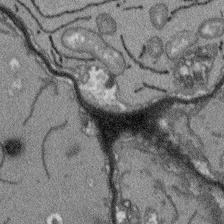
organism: Arabidopsis thaliana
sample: Root tip